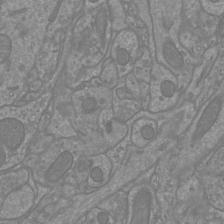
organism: Mouse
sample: Cortical neurons